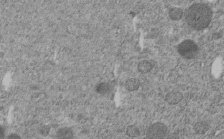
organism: C. elegans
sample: C. elegans embryo early stage